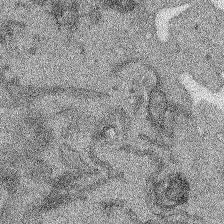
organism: Human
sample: HeLa cells